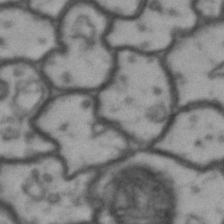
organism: Drosophila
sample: Brain